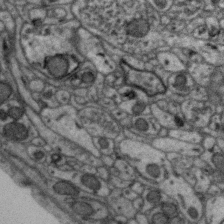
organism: Zebra finch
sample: Brain